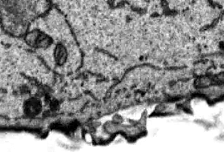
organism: Human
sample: HeLa cells